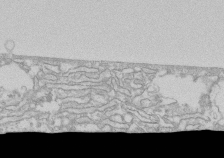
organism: Human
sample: CRL-1474